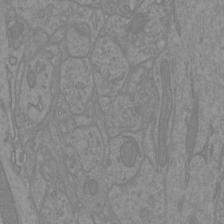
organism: Mouse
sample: Cortical neurons